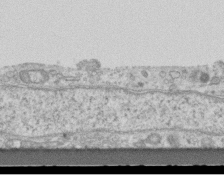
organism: Mouse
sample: Centriole in ependymal cells